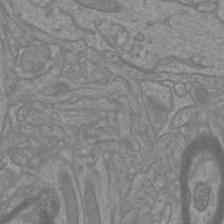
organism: Mouse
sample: Cortical neurons